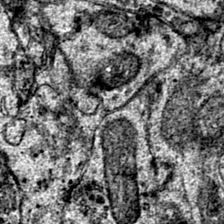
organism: Mouse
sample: Primary visual cortex